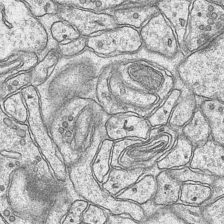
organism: Mouse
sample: CA1 Hippocampus